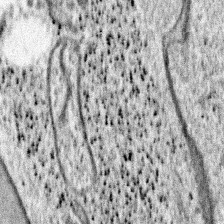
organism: Human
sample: HeLa cells